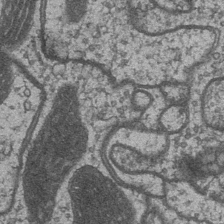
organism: Drosophila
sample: Optic medulla